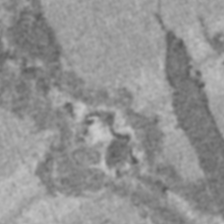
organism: C57BL Mouse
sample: Heart